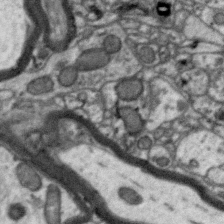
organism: Zebra finch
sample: Brain